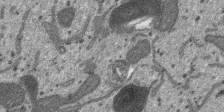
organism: Human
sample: Lung epithelial cells infected with SARS-CoV-2